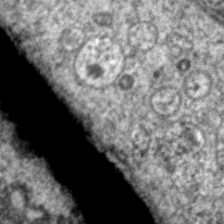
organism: C. elegans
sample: Pharynx